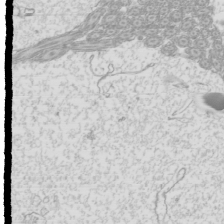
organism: Mouse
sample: Cilia; mouse epididymis